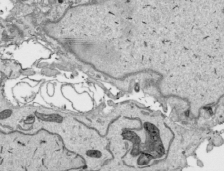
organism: Human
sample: Mitochondria in HCT116 cells